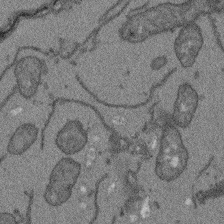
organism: Arabidopsis thaliana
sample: Root tip